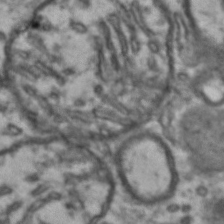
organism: Drosophila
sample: Brain